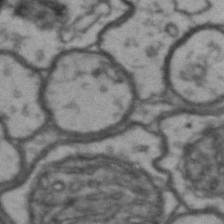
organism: Drosophila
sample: Brain